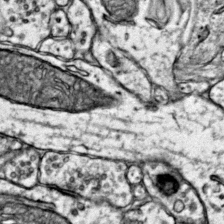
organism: Mouse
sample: Primary visual cortex